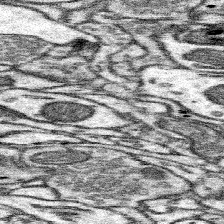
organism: Mouse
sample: Somatosensory cortex neuropil